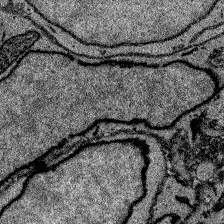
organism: Zebrafish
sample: Larval olfactory bulb